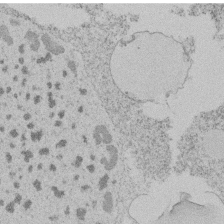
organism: Tetrahymena